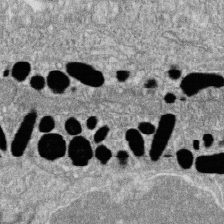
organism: Zebrafish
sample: Cilia; retinal pigment epithelium